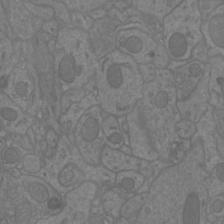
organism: Mouse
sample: Cortical neurons